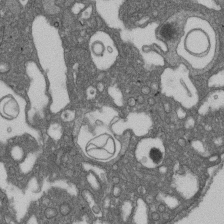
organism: Drosophila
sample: Nephrocyte